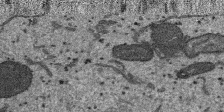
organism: Human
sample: Lung epithelial cells infected with SARS-CoV-2